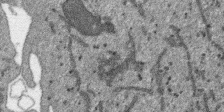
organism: Human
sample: Lung epithelial cells infected with SARS-CoV-2